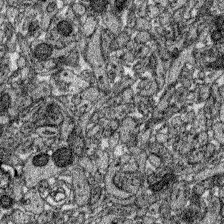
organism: Zebrafish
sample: Larval olfactory bulb